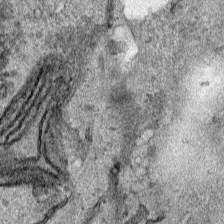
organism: Human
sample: Mitochondria in HCT116 cells